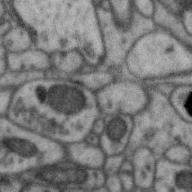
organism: Zebra finch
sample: Brain